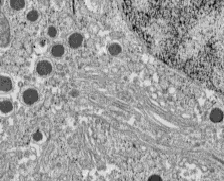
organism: C57BL Mouse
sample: Pancreatic islet